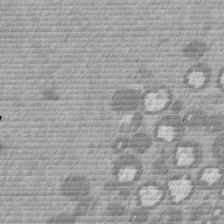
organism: Mouse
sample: Dividing mouse embryo 1 cell stage